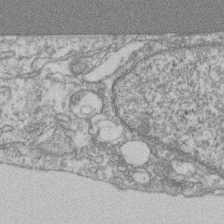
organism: Mouse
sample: T cell stromal cell synapse